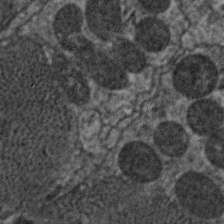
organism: C. elegans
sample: Pharynx